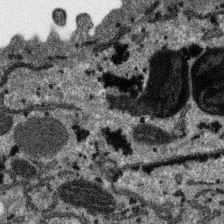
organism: Human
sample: Lung epithelial cells infected with SARS-CoV-2